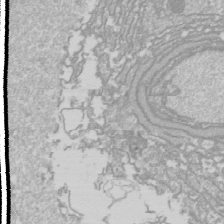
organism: Drosophila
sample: Cell division; meiosis; drosophila spermatocytes